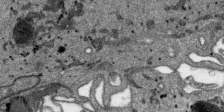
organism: Human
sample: Lung epithelial cells, uninfected (mock) control